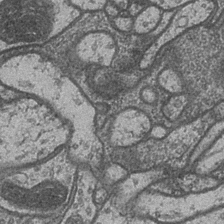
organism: Drosophila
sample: Optic medulla